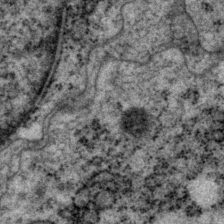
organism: P. pacificus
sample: Pharynx